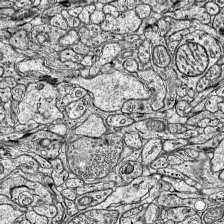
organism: Mouse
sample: Visual Cortex